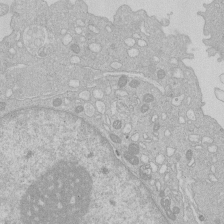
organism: Human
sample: Macrophage cells